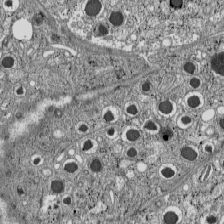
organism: C57BL Mouse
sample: Pancreatic islet